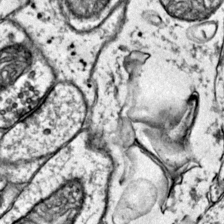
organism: Mouse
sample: Primary visual cortex